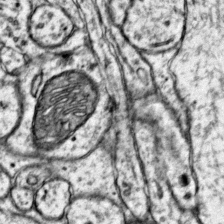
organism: Mouse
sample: Primary visual cortex